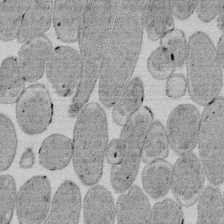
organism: E. coli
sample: Bacterial nucleoid